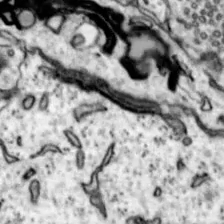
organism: Mouse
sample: Nucleus accumbens